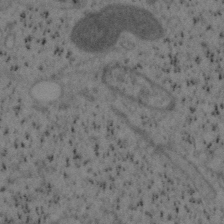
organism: Human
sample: HeLa cells